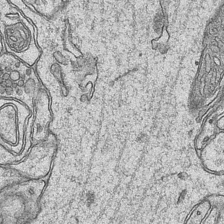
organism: Mouse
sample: CA1 Hippocampus